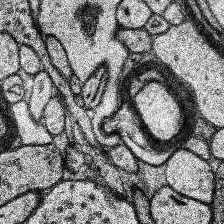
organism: Human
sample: Temporal Lobe